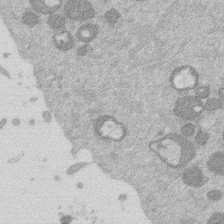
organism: Mouse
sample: Dividing mouse embryo 1 cell stage